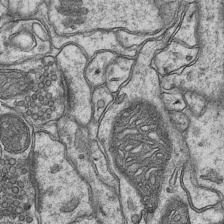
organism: Mouse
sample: CA1 Hippocampus